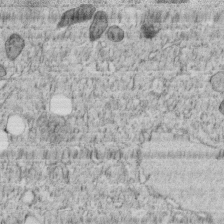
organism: C. elegans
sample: C. elegans embryo early stage